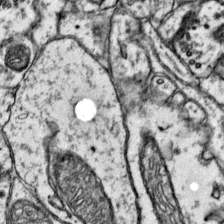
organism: Mouse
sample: Primary visual cortex